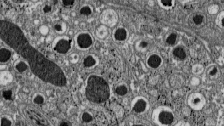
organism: C57BL Mouse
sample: Pancreatic islet